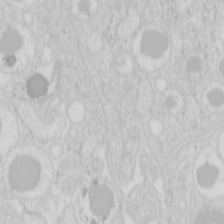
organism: Mouse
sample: Pancreas